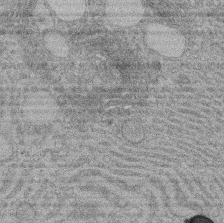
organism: Rat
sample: Salivary granule